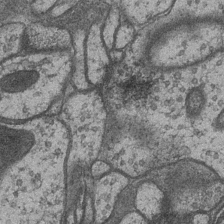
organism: Drosophila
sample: Optic medulla